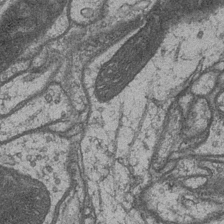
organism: Drosophila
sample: Optic medulla